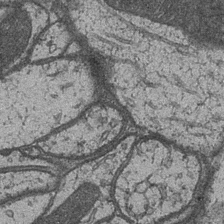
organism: Drosophila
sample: Optic medulla